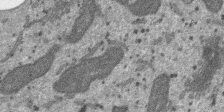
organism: Human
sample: Lung epithelial cells infected with SARS-CoV-2